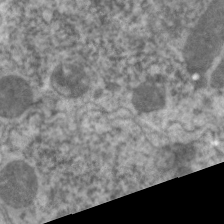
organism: C. elegans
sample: Pharynx